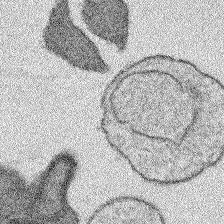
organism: Human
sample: HeLa cells